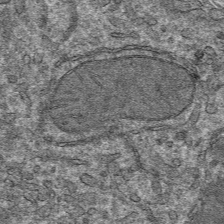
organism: Mouse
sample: Mouse hepatocytes